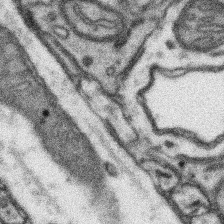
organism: Mouse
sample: Somatosensory cortex neuropil